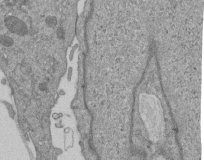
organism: Mouse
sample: ED-1 cell nuclei; centrioles